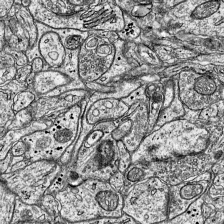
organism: Mouse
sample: Visual Cortex